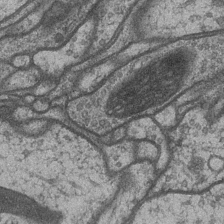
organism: Drosophila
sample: Optic medulla